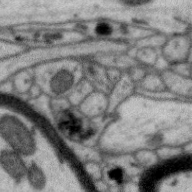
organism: Zebra finch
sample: Brain